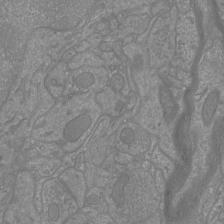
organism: Mouse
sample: Cortical neurons